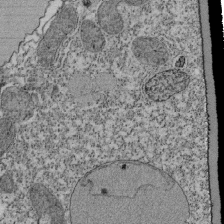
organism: Tetrahymena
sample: Cilia in tetrahymena